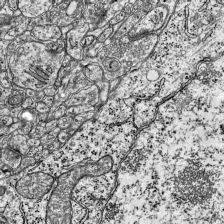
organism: Mouse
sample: Visual Cortex